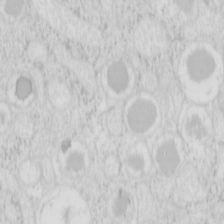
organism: Mouse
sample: Pancreas